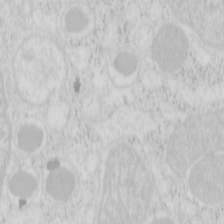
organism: Mouse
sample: Pancreas